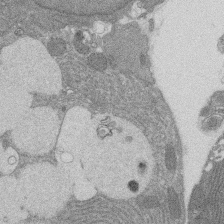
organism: Rat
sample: Salivary granule